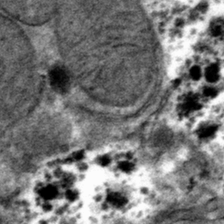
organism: Mouse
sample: Mouse hepatocytes